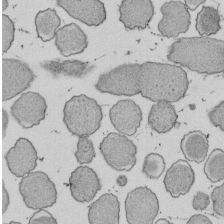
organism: E. coli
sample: Bacterial nucleoid